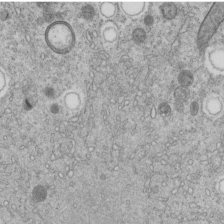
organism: C. elegans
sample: C. elegans embryo early stage